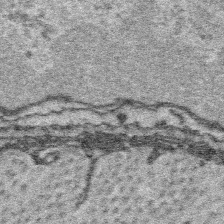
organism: Platynereis dumerilii